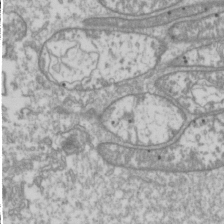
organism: Drosophila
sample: Cell division; meiosis; drosophila spermatocytes